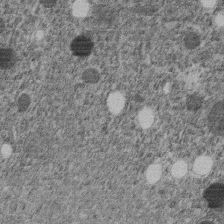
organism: C. elegans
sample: C. elegans embryo early stage